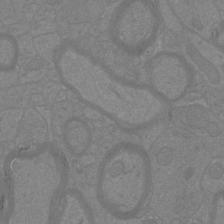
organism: Mouse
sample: Cortical neurons